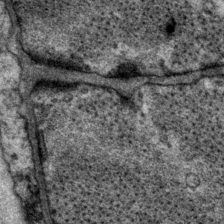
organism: P. pacificus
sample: Pharynx